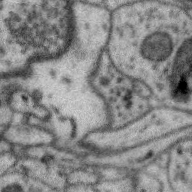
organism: Zebra finch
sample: Brain